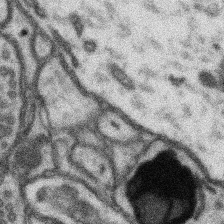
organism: Mouse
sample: Somatosensory cortex neuropil